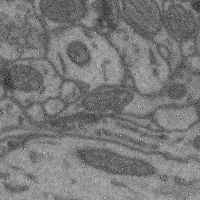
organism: Mouse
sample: Cerebral cortex